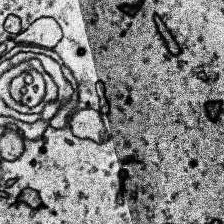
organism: Human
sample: Temporal Lobe